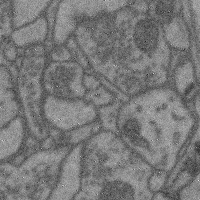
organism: Mouse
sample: Cerebral cortex